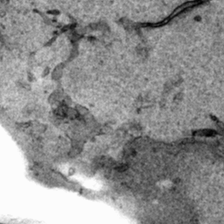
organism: Human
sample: Mitochondria in HCT116 cells